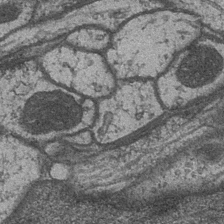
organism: Drosophila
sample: Optic medulla